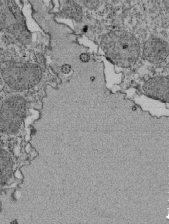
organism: Tetrahymena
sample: Cilia in tetrahymena